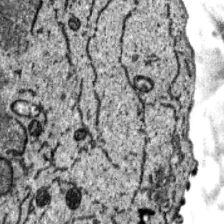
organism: Human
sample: HeLa cells